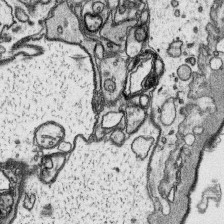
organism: Platynereis dumerilii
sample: Parapodia